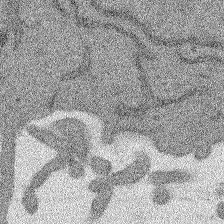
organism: Human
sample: HeLa cells